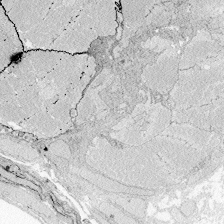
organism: Zebrafish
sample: Whole-Brain